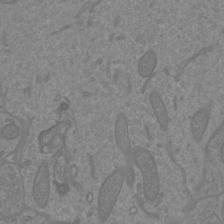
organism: Mouse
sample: Cortical neurons